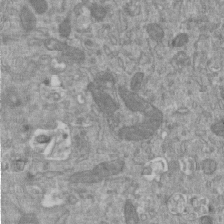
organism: Mouse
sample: ED-1 cell nuclei; centrioles